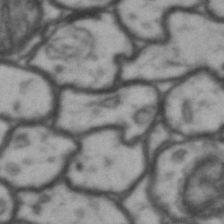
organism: Drosophila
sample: Brain